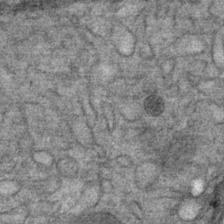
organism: Mouse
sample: Mouse Salivary gland